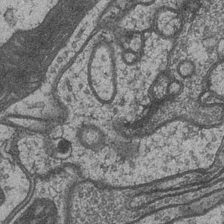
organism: Drosophila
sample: Optic medulla